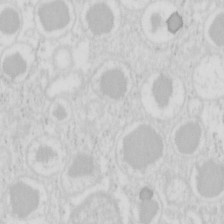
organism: Mouse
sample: Pancreas